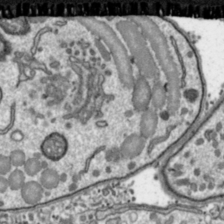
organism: Toxoplasma gondii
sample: Parasites in a vacuole inside a host cell